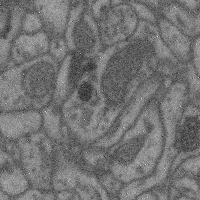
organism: Mouse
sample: Cerebral cortex